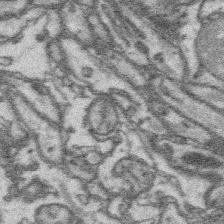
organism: Platynereis dumerilii